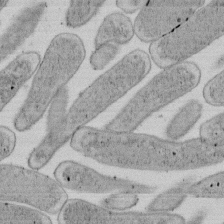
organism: E. coli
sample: Bacterial nucleoid